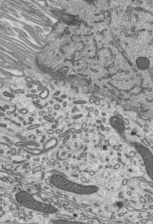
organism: Mouse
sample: Mouse epididymis efferent ductule cilia